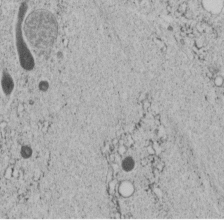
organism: C. elegans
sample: C. elegans embryo early stage